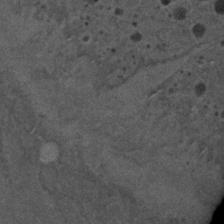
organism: C. elegans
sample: C. elegans embryo